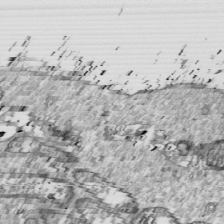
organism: Drosophila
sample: Cell division; meiosis; drosophila spermatocytes